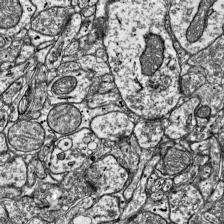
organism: Mouse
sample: Visual Cortex